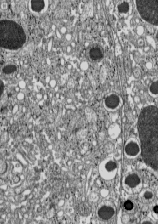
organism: C57BL Mouse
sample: Pancreatic islet